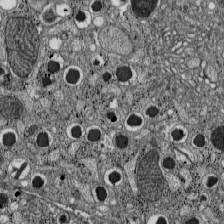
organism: C57BL Mouse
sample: Pancreatic islet